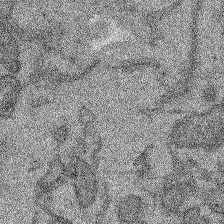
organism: Human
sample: HeLa cells